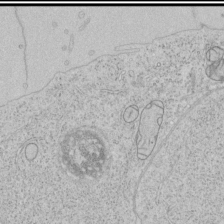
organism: Human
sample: Mitochondria in HCT116 cells